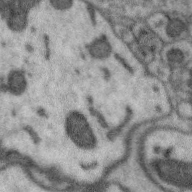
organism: Zebra finch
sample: Brain